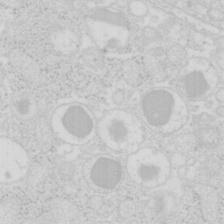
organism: Mouse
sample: Pancreas